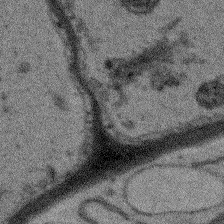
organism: Arabidopsis thaliana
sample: Root tip